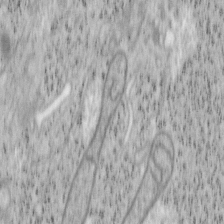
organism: Human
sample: HeLa cells